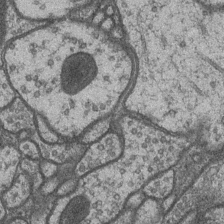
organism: Drosophila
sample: Optic medulla